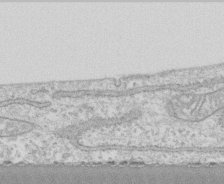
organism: Human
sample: CRL-1474